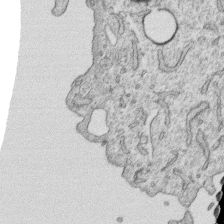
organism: Human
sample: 1205lu cells